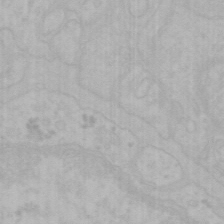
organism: Mouse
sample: Choroid plexus